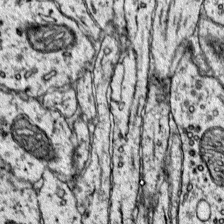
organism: Mouse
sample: Primary visual cortex